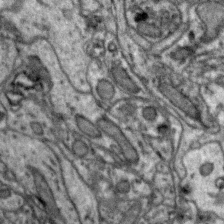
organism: Zebra finch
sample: Brain